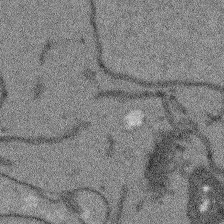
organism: Arabidopsis thaliana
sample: Root tip